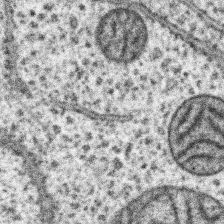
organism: Human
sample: HeLa cells